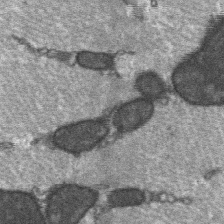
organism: C57BL Mouse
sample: Soleus